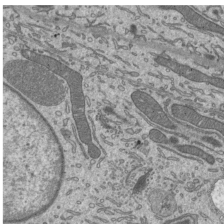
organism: Mouse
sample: Mouse epididymis efferent ductule cilia